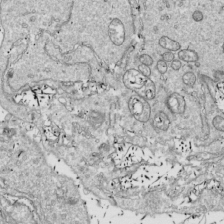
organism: Drosophila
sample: Cell division; meiosis; drosophila spermatocytes